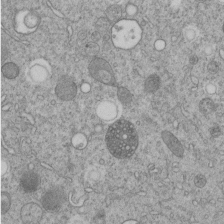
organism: C. elegans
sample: C. elegans embryo early stage